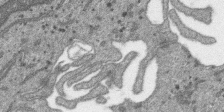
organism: Human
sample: Lung epithelial cells infected with SARS-CoV-2